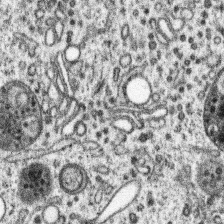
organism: Human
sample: HeLa cells